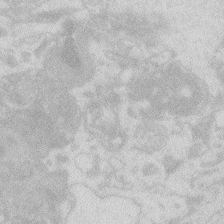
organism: Zebrafish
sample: Macrophage